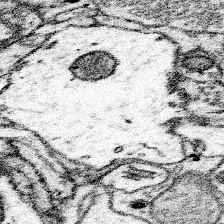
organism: Mouse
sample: Somatosensory cortex neuropil